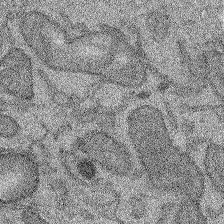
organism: Human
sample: HeLa cells